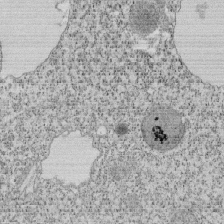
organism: Tetrahymena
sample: Cilia in tetrahymena